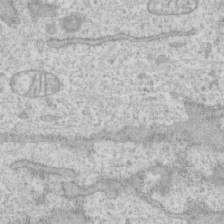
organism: Human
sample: CRL-1474